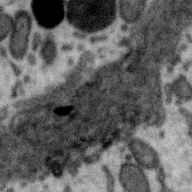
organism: Zebra finch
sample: Brain